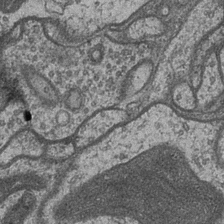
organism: Drosophila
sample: Optic medulla